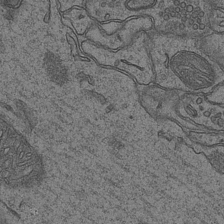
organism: Mouse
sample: CA1 Hippocampus